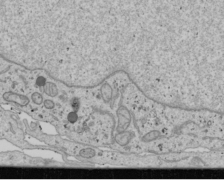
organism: Human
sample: Mitochondria in U2OS cells